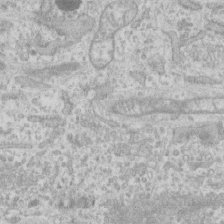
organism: Human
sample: CRL-1474